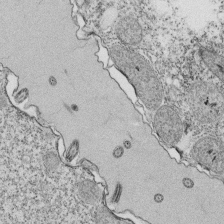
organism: Tetrahymena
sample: Cilia in tetrahymena